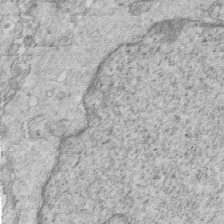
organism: Mouse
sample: Multiciliated cells